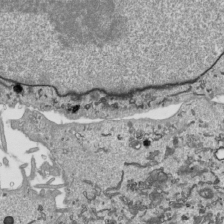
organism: Human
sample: Mitochondria in HCT116 cells